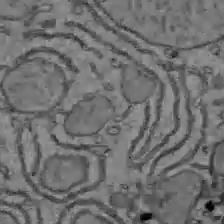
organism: C57BL Mouse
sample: Liver